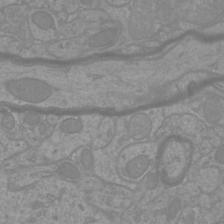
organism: Mouse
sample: Cortical neurons